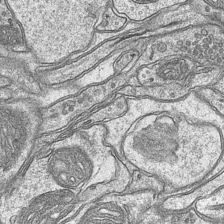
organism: Mouse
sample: CA1 Hippocampus